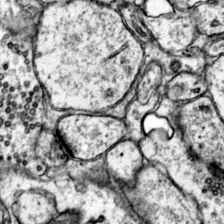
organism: Mouse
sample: Primary visual cortex